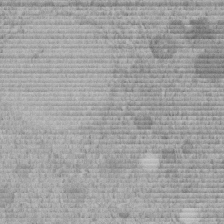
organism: C. elegans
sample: C. elegans embryo early stage